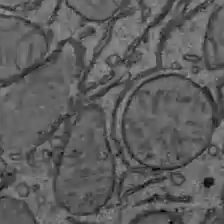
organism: C57BL Mouse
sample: Liver